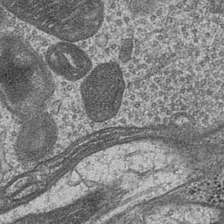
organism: Drosophila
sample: Optic medulla